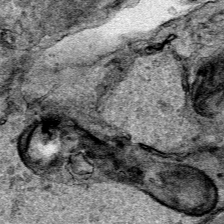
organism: Human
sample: Mitochondria in HCT116 cells